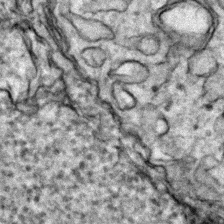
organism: Zebrafish